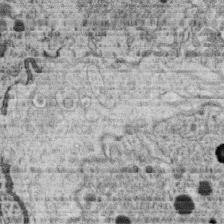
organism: C. elegans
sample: C. elegans oocyte; sperm cells